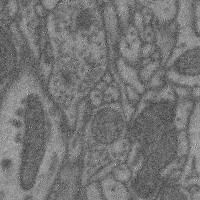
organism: Mouse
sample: Cerebral cortex